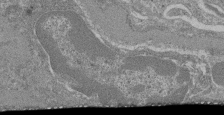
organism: Mouse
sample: Glomerulus